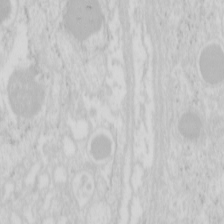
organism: Mouse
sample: Pancreas